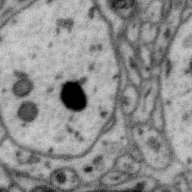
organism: Zebra finch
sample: Brain